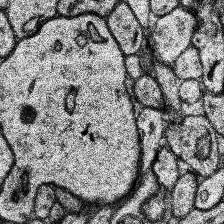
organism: Human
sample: Temporal Lobe